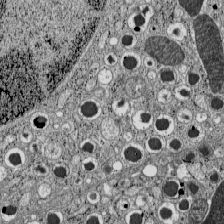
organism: C57BL Mouse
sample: Pancreatic islet